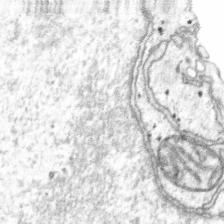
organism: Human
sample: HeLa cells